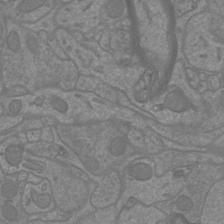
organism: Mouse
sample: Cortical neurons